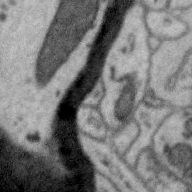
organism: Zebra finch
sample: Brain